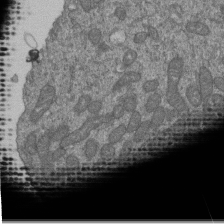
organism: Human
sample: Retinal organoid Rod and Cone cells